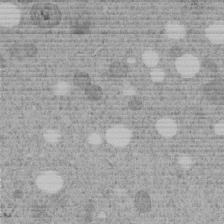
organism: C. elegans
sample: C. elegans embryo early stage